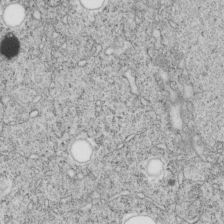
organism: C. elegans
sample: C. elegans embryo early stage